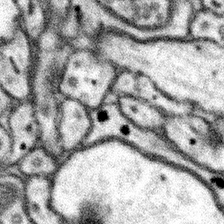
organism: Mouse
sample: Somatosensory cortex neuropil